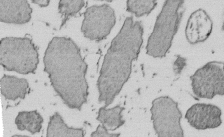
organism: E. coli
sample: Bacterial nucleoid